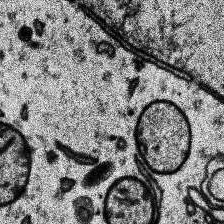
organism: Human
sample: Temporal Lobe